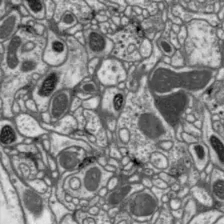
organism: Drosophila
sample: Protocerebral bridge